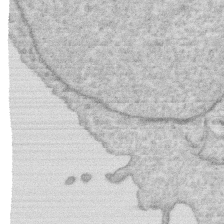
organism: Human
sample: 1205lu cells